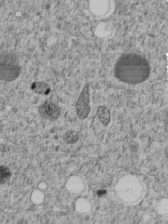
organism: C. elegans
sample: C. elegans embryo early stage